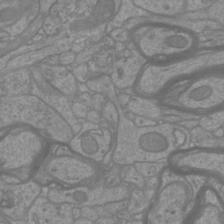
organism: Mouse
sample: Cortical neurons